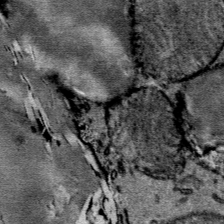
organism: Mouse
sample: Mouse Salivary gland